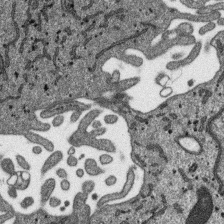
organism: Human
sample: Lung epithelial cells infected with SARS-CoV-2